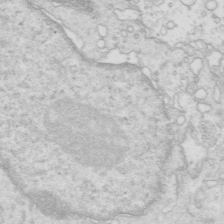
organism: Mouse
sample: Multiciliated cells